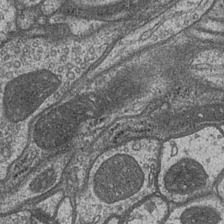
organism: Drosophila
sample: Optic medulla